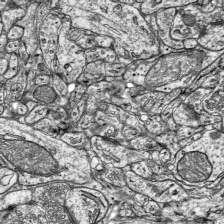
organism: Mouse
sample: Visual Cortex